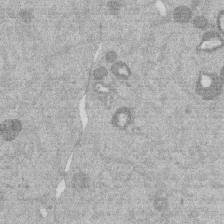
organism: Mouse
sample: Dividing mouse embryo 1 cell stage